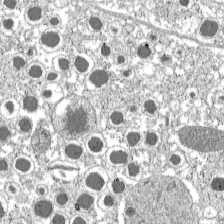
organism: C57BL Mouse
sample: Pancreatic islet